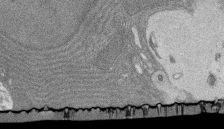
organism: Rat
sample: Salivary granule